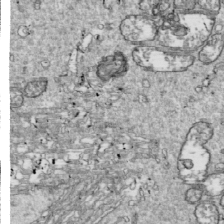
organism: Drosophila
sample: Cell division; meiosis; drosophila spermatocytes